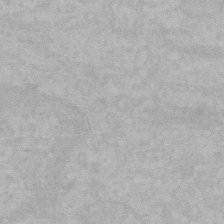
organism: Mouse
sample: Choroid plexus